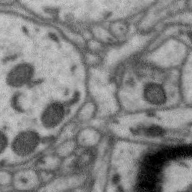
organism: Zebra finch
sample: Brain